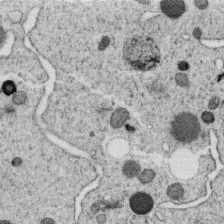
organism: C. elegans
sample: C. elegans oocyte; sperm cells